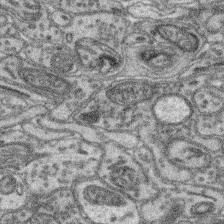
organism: Mouse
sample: Retina